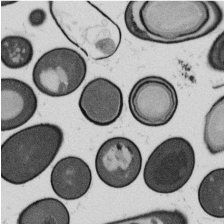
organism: B. subtilis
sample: Bacterial spore